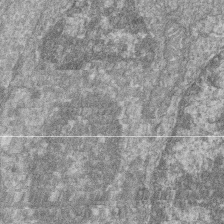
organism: Zebrafish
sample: Cilia; retinal pigment epithelium